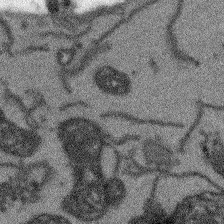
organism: Arabidopsis thaliana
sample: Root tip